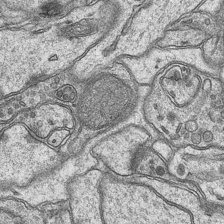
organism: Mouse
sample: CA1 Hippocampus